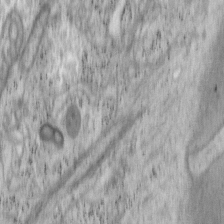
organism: Human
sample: HeLa cells